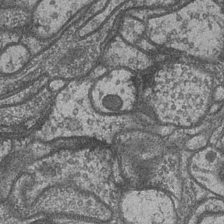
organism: Drosophila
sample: Optic medulla